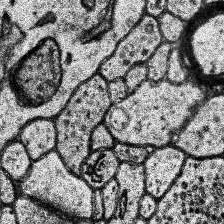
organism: Human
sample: Temporal Lobe